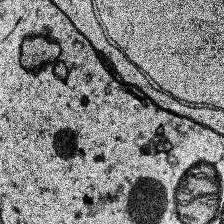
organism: Human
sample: Temporal Lobe